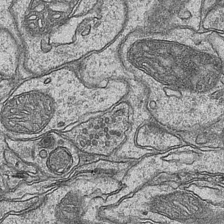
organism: Mouse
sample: CA1 Hippocampus